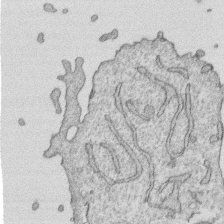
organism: Human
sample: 1205lu cells